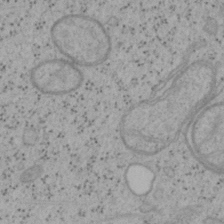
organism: Human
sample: HeLa cells